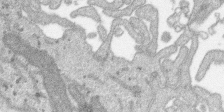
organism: Human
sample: Lung epithelial cells infected with SARS-CoV-2